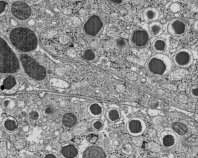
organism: C57BL Mouse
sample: Pancreatic islet